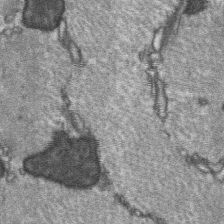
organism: C57BL Mouse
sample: Soleus